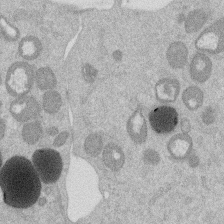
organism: Mouse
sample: Dividing mouse embryo 1 cell stage